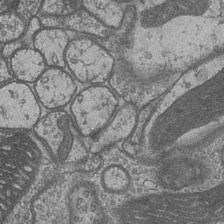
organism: Drosophila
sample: Optic medulla